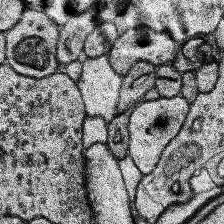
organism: Human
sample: Temporal Lobe